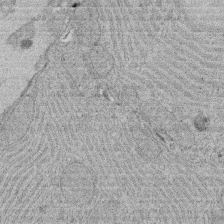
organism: Rat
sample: Salivary granule